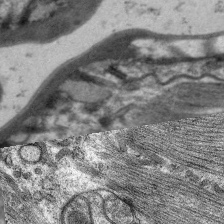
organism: C. elegans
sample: Pharynx